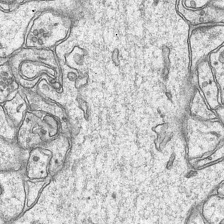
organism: Mouse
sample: CA1 Hippocampus